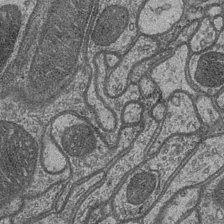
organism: Drosophila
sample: Optic medulla